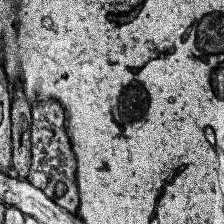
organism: Human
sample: Temporal Lobe